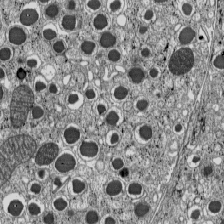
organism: C57BL Mouse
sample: Pancreatic islet